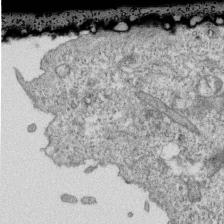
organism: Human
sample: HeLa cell HIV synapse